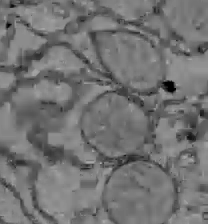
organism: C57BL Mouse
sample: Liver